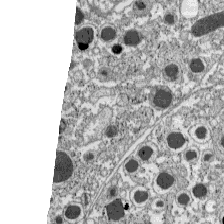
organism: C57BL Mouse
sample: Pancreatic islet